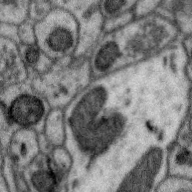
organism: Zebra finch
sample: Brain